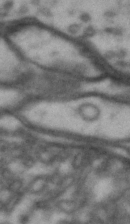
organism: Drosophila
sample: Brain